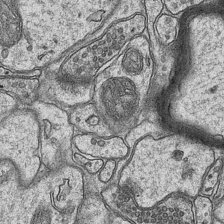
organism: Mouse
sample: CA1 Hippocampus